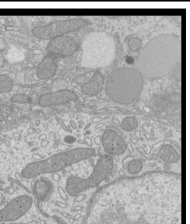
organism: Mouse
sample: Cilia; mouse epididymis